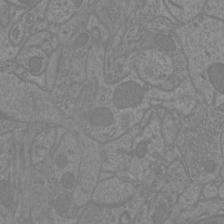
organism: Mouse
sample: Cortical neurons